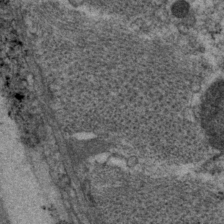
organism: P. pacificus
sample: Pharynx